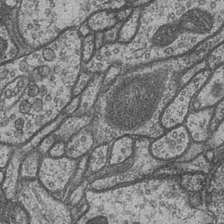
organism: Drosophila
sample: Optic medulla